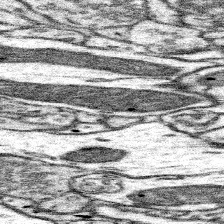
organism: Mouse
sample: Somatosensory cortex neuropil